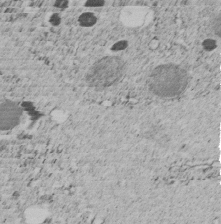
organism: C. elegans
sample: C. elegans embryo early stage